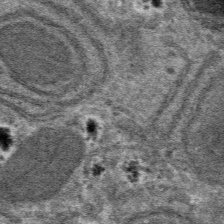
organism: Mouse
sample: Mouse hepatocytes